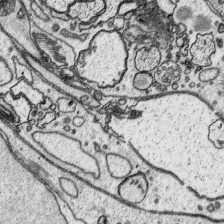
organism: Platynereis dumerilii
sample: Parapodia